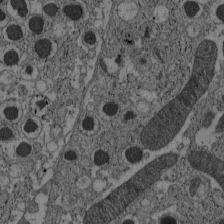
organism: C57BL Mouse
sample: Pancreatic islet